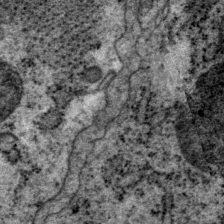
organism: P. pacificus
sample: Pharynx